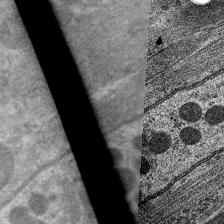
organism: C. elegans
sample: Pharynx